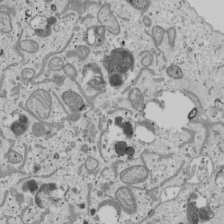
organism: Human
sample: Mitochondria in U2OS cells